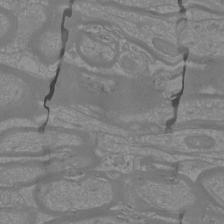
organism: Mouse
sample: Cortical neurons